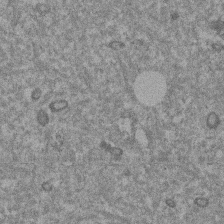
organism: Mouse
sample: Dividing mouse embryo 1 cell stage